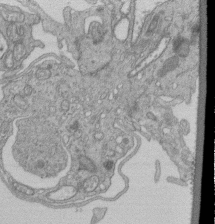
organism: Human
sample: Retinal organoid Rod and Cone cells